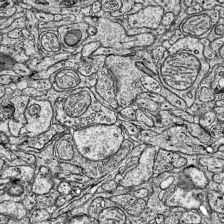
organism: Mouse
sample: Visual Cortex